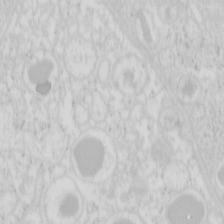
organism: Mouse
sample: Pancreas